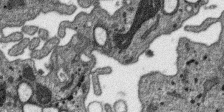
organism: Human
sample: Lung epithelial cells infected with SARS-CoV-2